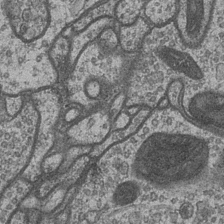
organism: Drosophila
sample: Optic medulla